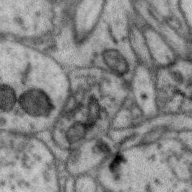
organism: Zebra finch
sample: Brain